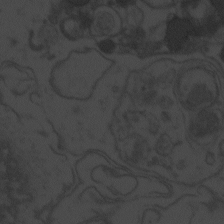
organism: Zebrafish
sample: Macrophage infected with Toxoplasma gondii